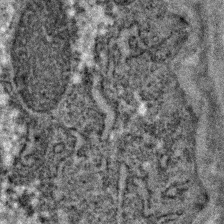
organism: C. elegans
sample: C. elegans embryo